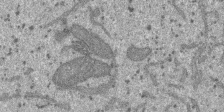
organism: Human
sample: Lung epithelial cells infected with SARS-CoV-2